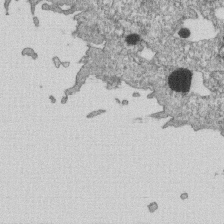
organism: Human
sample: HeLa cell HIV synapse